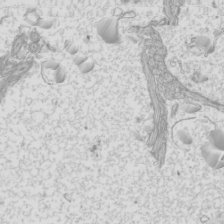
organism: Mouse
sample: Cilia; mouse epididymis